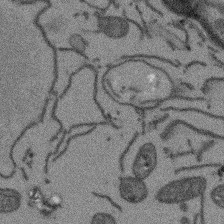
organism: Arabidopsis thaliana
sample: Root tip